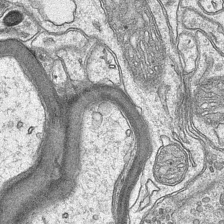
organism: Mouse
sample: CA1 Hippocampus